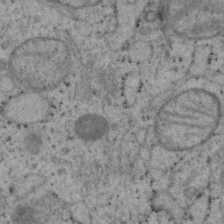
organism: Human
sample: HeLa cells